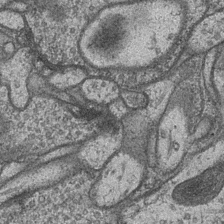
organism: Drosophila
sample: Optic medulla